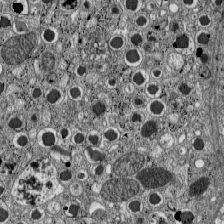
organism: C57BL Mouse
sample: Pancreatic islet